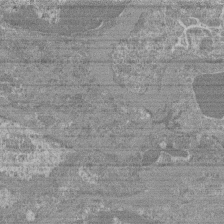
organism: Mouse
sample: Glomerulus